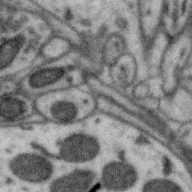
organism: Zebra finch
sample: Brain